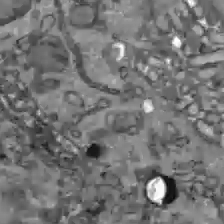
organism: C57BL Mouse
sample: Liver